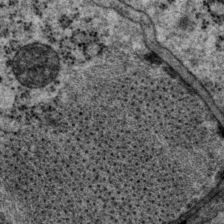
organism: P. pacificus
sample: Pharynx